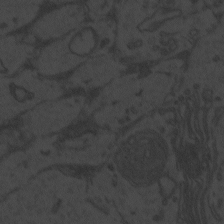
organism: Zebrafish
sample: Macrophage infected with Toxoplasma gondii